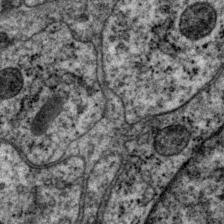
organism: P. pacificus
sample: Pharynx